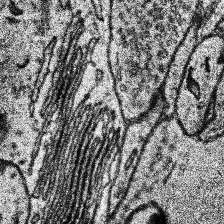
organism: Human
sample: Temporal Lobe